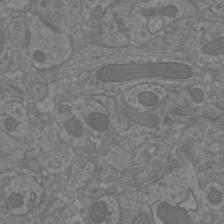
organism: Mouse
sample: Cortical neurons